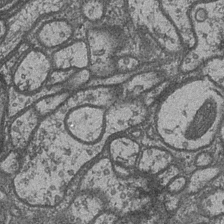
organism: Drosophila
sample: Optic medulla